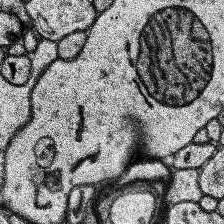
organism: Human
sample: Temporal Lobe